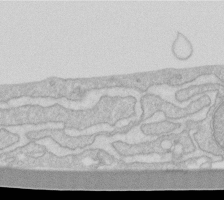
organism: Human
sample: Fibroblast cells